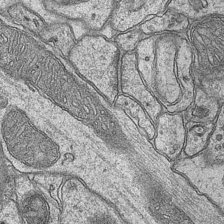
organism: Mouse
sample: CA1 Hippocampus